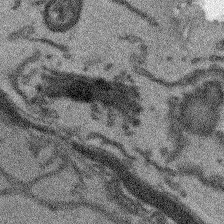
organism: Arabidopsis thaliana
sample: Root tip